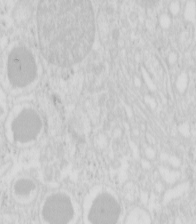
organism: Mouse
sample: Pancreas